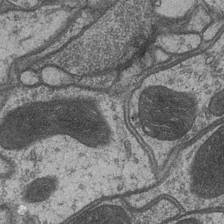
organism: Drosophila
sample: Optic medulla